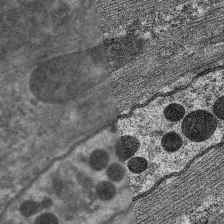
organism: C. elegans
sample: Pharynx